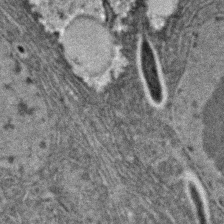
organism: C. elegans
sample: C. elegans embryo